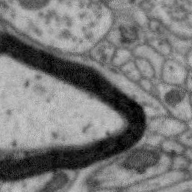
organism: Zebra finch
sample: Brain